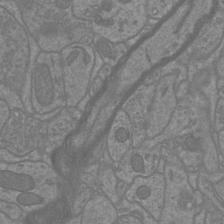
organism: Mouse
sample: Cortical neurons